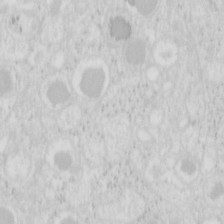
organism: Mouse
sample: Pancreas